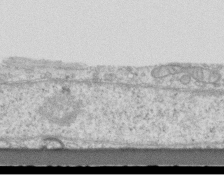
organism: Mouse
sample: Centriole in ependymal cells